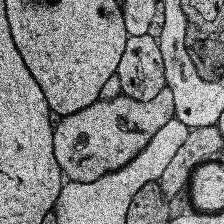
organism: Human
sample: Temporal Lobe